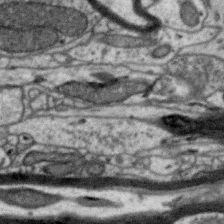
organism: Zebra finch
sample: Brain